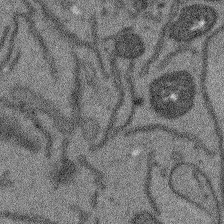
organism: Arabidopsis thaliana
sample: Root tip